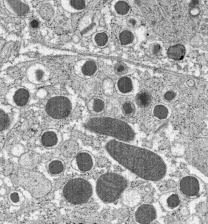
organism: C57BL Mouse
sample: Pancreatic islet